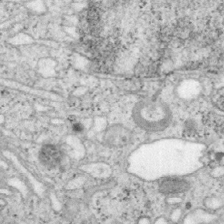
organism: Mouse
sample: OT-I killer T cells with ID8 ovarian cancer cells